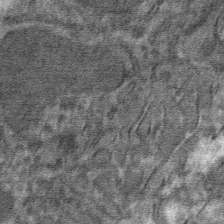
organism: Mouse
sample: Mouse hepatocytes